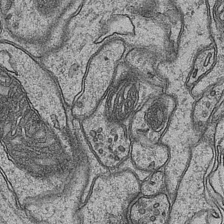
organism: Mouse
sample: CA1 Hippocampus